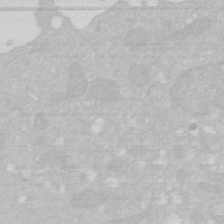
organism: Human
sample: HIV infected U937 cells